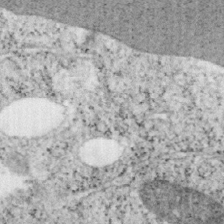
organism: Mouse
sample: OT-I killer T cells with ID8 ovarian cancer cells